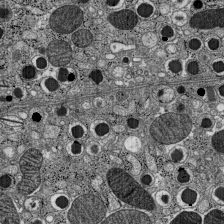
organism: C57BL Mouse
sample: Pancreatic islet